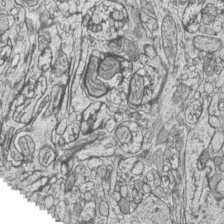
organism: Zebrafish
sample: synaptic ribbons in rod cells and cone cells